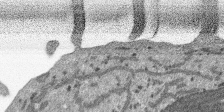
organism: Human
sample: Lung epithelial cells infected with SARS-CoV-2